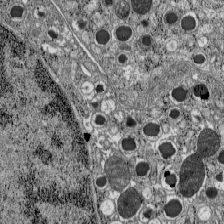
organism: C57BL Mouse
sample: Pancreatic islet